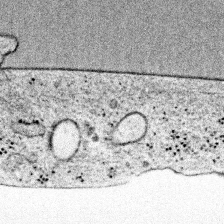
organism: Human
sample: HeLa cells